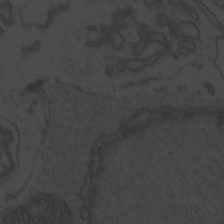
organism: Zebrafish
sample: Macrophage infected with Toxoplasma gondii